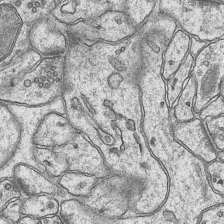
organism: Mouse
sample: CA1 Hippocampus